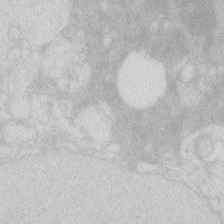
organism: Zebrafish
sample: Macrophage